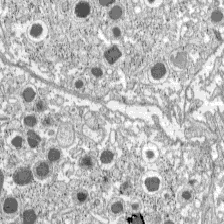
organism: C57BL Mouse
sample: Pancreatic islet